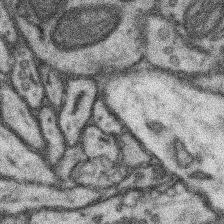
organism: Mouse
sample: Somatosensory cortex neuropil